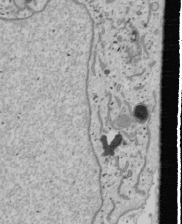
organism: Human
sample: Mitochondria in U2OS cells